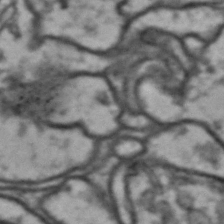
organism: Drosophila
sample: Brain